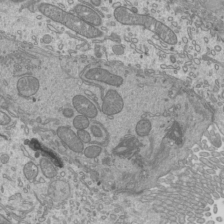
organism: Mouse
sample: Cilia; mouse epididymis